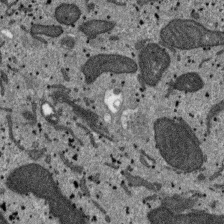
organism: Human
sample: Lung epithelial cells, uninfected (mock) control